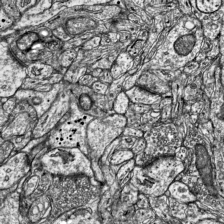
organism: Mouse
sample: Visual Cortex